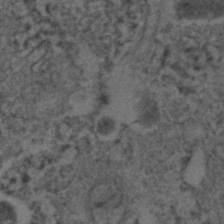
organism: C. elegans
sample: C. elegans embryo